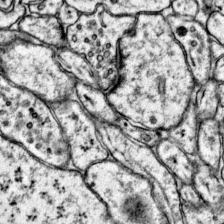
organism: Mouse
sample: Primary visual cortex